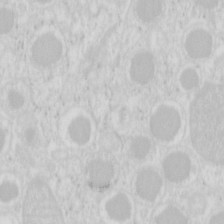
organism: Mouse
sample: Pancreas